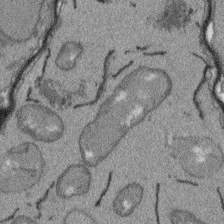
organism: Arabidopsis thaliana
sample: Root tip